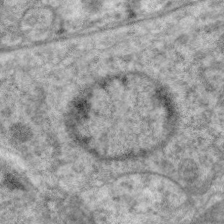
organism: C. elegans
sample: Pharynx